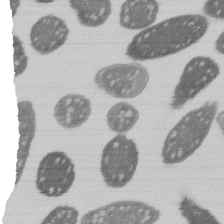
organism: E. coli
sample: Bacterial nucleoid